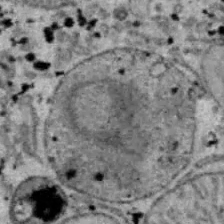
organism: Mouse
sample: Liver from an obese (ob/ob) mouse